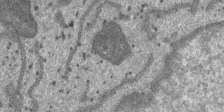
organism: Human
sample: Lung epithelial cells infected with SARS-CoV-2